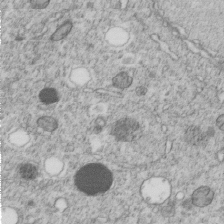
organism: C. elegans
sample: C. elegans embryo early stage